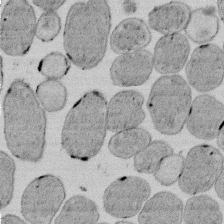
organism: E. coli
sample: Bacterial nucleoid